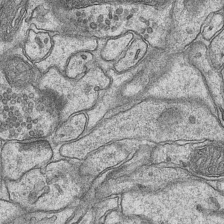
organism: Mouse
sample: CA1 Hippocampus